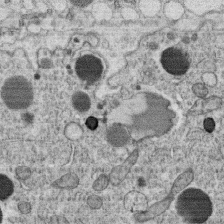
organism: C. elegans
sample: C. elegans oocyte; sperm cells